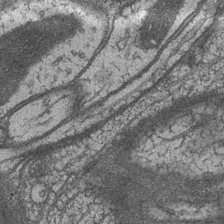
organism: Drosophila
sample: Optic medulla